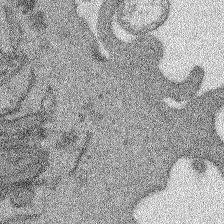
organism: Human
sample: HeLa cells